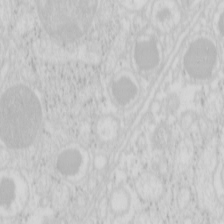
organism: Mouse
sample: Pancreas